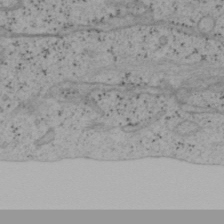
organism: Human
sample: HeLa cells